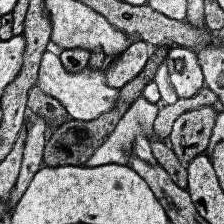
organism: Human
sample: Temporal Lobe